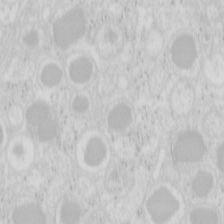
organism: Mouse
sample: Pancreas